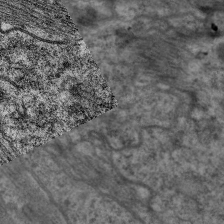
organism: C. elegans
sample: Pharynx